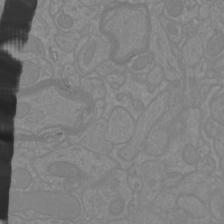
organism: Mouse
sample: Cortical neurons